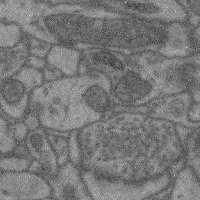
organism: Mouse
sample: Cerebral cortex